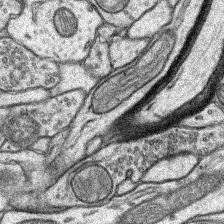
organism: Rat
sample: Hippocampus